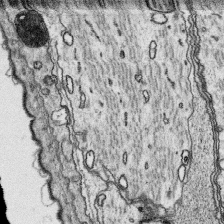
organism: Platynereis dumerilii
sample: Parapodia